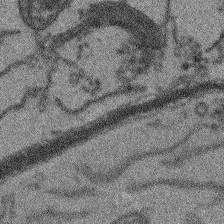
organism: Arabidopsis thaliana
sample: Root tip